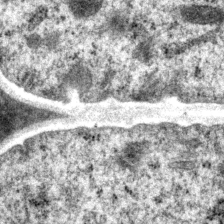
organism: P. pacificus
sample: Pharynx